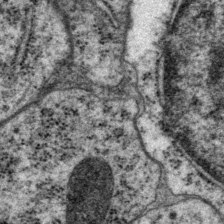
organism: P. pacificus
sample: Pharynx